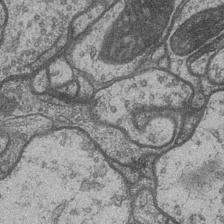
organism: Drosophila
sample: Optic medulla